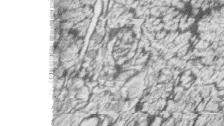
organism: Zebrafish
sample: synaptic ribbons in rod cells and cone cells